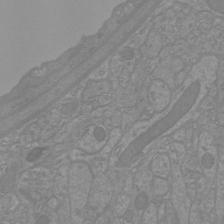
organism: Mouse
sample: Cortical neurons